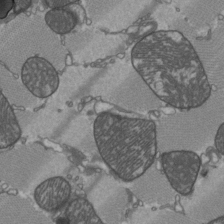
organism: C57BL Mouse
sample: Heart